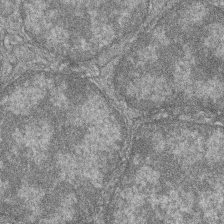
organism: Zebrafish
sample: Cilia; retinal pigment epithelium